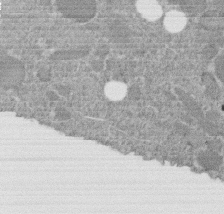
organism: C. elegans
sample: C. elegans embryo early stage